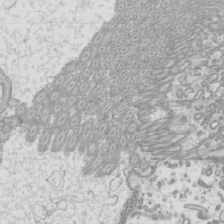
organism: Mouse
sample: Cilia; mouse epididymis